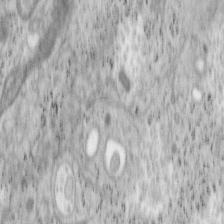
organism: Human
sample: HeLa cells